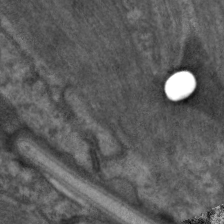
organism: C. elegans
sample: Pharynx